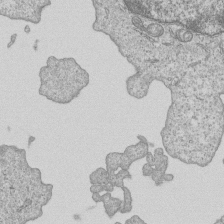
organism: Human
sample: MDA-MB-231 cells